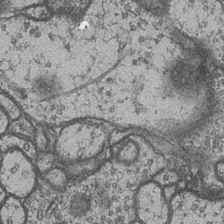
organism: Drosophila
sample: Optic medulla